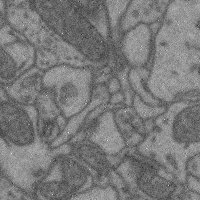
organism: Mouse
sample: Cerebral cortex